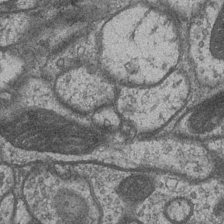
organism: Drosophila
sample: Optic medulla